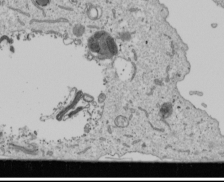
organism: Human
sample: Mitochondria in U2OS cells